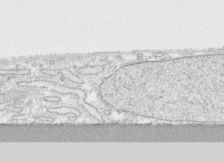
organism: Human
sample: CRL-1474